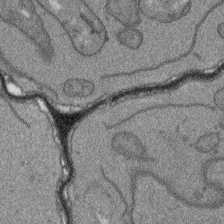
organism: Arabidopsis thaliana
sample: Root tip